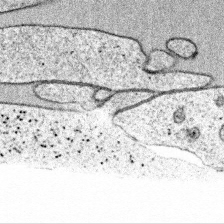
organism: Human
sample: HeLa cells